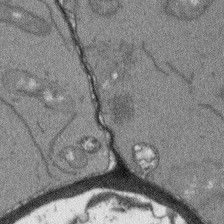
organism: Arabidopsis thaliana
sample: Root tip